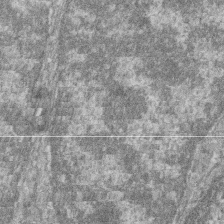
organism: Zebrafish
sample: Cilia; retinal pigment epithelium